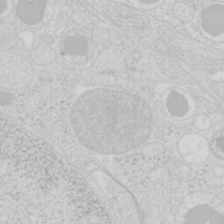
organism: Mouse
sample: Pancreas